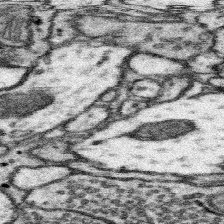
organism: Mouse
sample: Somatosensory cortex neuropil